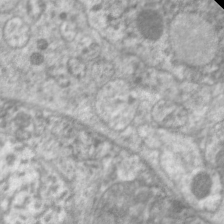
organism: C. elegans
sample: Pharynx